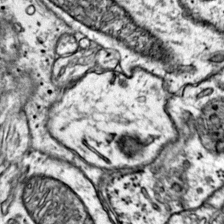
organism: Mouse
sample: Primary visual cortex